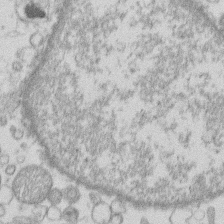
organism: Human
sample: Macrophage cells